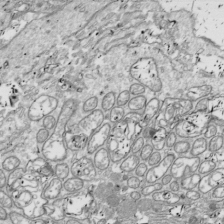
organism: Drosophila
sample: Cell division; meiosis; drosophila spermatocytes